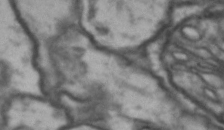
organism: Drosophila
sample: Brain